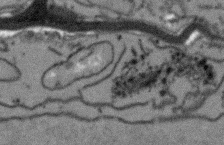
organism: Arabidopsis thaliana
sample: Root tip